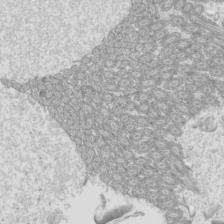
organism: Mouse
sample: Cilia; mouse epididymis